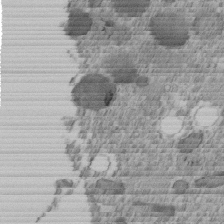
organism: C. elegans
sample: C. elegans embryo early stage